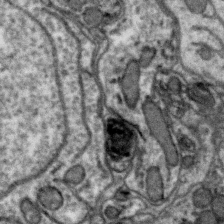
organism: Zebra finch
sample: Brain